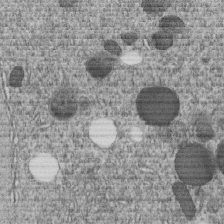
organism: C. elegans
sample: C. elegans embryo early stage